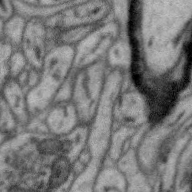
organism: Zebra finch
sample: Brain